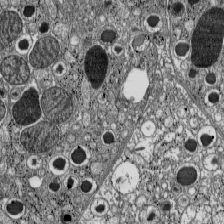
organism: C57BL Mouse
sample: Pancreatic islet